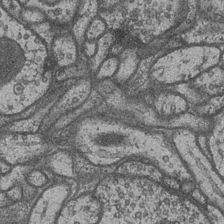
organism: Drosophila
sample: Optic medulla